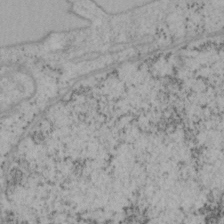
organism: Human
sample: HeLa cells